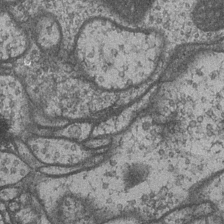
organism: Drosophila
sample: Optic medulla